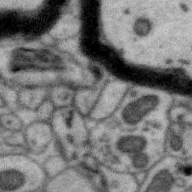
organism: Zebra finch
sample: Brain